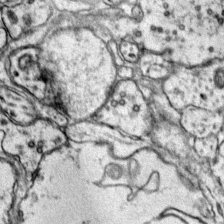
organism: Mouse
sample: Primary visual cortex